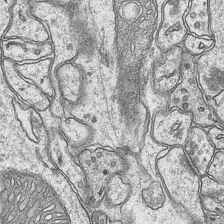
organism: Mouse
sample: CA1 Hippocampus